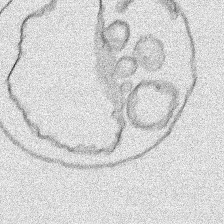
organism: Human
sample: Mitochondria in HCT116 cells